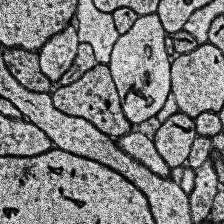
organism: Human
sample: Temporal Lobe